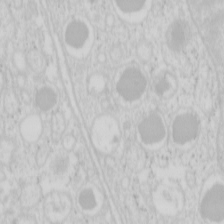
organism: Mouse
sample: Pancreas